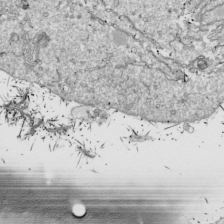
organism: Drosophila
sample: Cell division; meiosis; drosophila spermatocytes